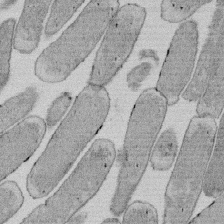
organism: E. coli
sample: Bacterial nucleoid